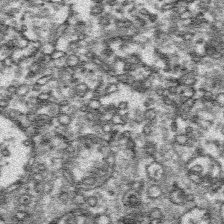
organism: Platynereis dumerilii